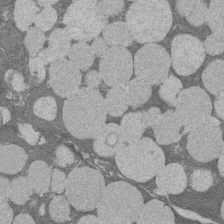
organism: Rat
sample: Salivary granule